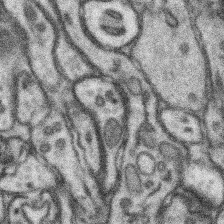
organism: Mouse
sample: Somatosensory cortex neuropil